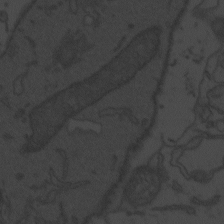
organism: Zebrafish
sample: Macrophage infected with Toxoplasma gondii